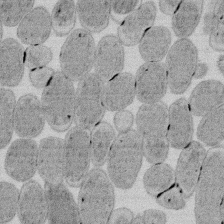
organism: E. coli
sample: Bacterial nucleoid